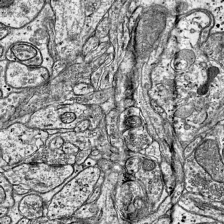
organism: Mouse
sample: Visual Cortex